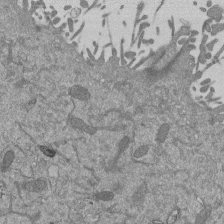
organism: Mouse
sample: ED-1 cell nuclei; centrioles